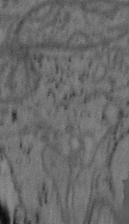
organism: Human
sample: HeLa cells